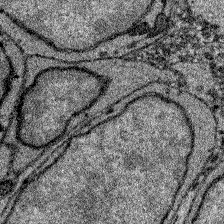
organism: Zebrafish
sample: Larval olfactory bulb